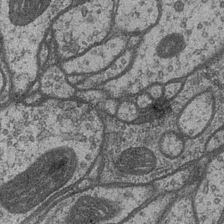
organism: Drosophila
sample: Optic medulla